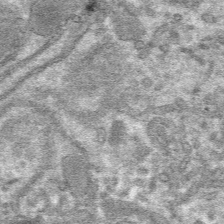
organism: Mouse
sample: Mouse hepatocytes